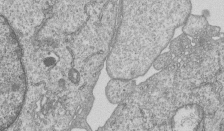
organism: Human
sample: MDA-MB-231 cells